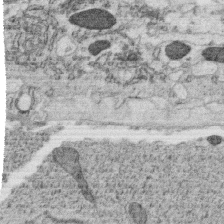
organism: C. elegans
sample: C. elegans oocyte; sperm cells